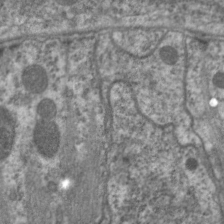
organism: C. elegans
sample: Pharynx